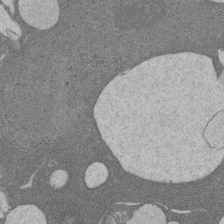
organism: Rat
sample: Salivary granule